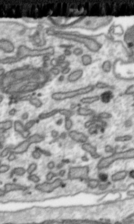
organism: Toxoplasma gondii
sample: Parasites in a vacuole inside a host cell